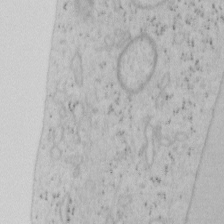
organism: Human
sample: HeLa cells